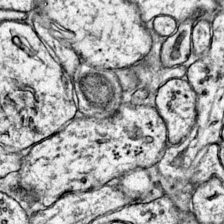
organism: Mouse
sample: Primary visual cortex